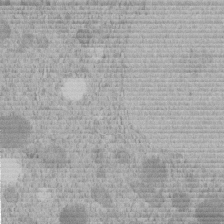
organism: C. elegans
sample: C. elegans embryo early stage